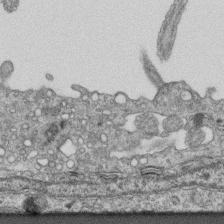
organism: Mouse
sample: Centriole in ependymal cells